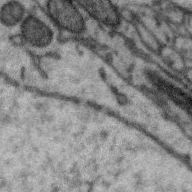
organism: Zebra finch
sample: Brain